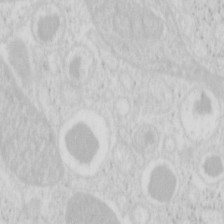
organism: Mouse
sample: Pancreas